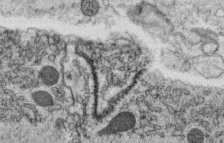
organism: C. elegans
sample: C. elegans oocyte; sperm cells